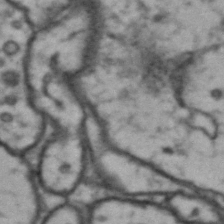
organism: Drosophila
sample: Brain